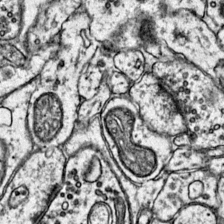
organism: Mouse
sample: Primary visual cortex